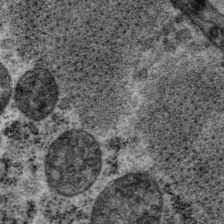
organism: P. pacificus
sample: Pharynx